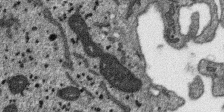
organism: Human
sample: Lung epithelial cells infected with SARS-CoV-2